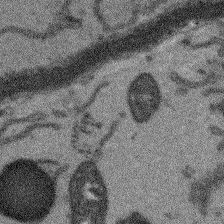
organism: Arabidopsis thaliana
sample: Root tip